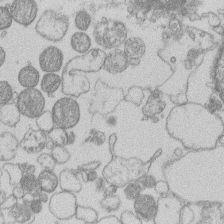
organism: Human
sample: Macrophage cells